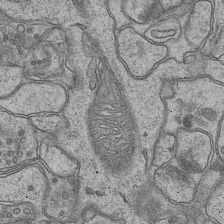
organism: Mouse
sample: CA1 Hippocampus